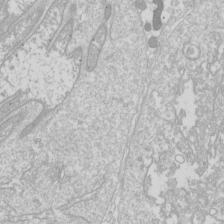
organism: Drosophila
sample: Cell division; meiosis; drosophila spermatocytes